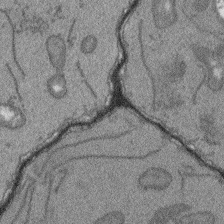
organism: Arabidopsis thaliana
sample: Root tip